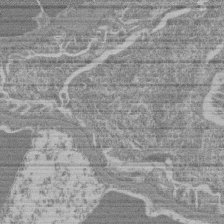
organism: Mouse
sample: Glomerulus